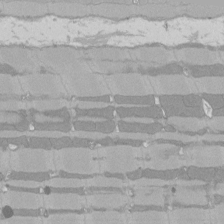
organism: Rat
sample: Left ventricle